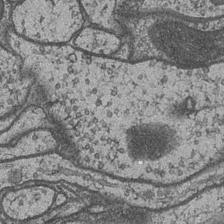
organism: Drosophila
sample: Optic medulla